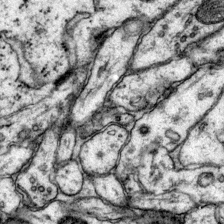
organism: Mouse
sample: Primary visual cortex